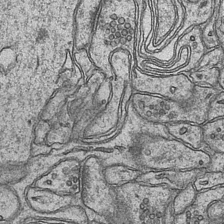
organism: Mouse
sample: CA1 Hippocampus